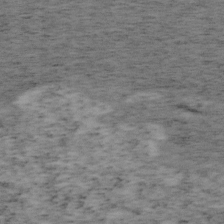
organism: Mouse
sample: OT-I killer T cells with ID8 ovarian cancer cells